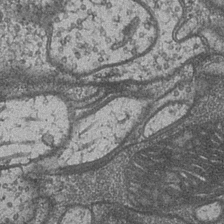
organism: Drosophila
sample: Optic medulla